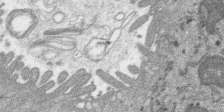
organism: Human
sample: Lung epithelial cells infected with SARS-CoV-2